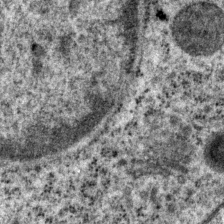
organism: P. pacificus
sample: Pharynx